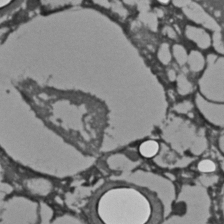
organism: C. elegans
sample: C. elegans embryo